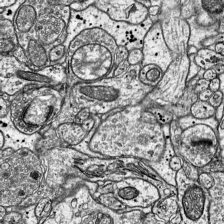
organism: Mouse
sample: Visual Cortex